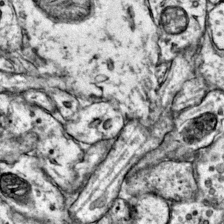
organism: Mouse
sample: Primary visual cortex